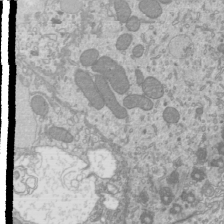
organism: Mouse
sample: Cilia; mouse epididymis